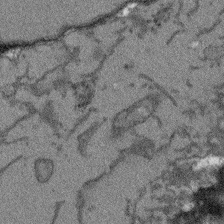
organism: Arabidopsis thaliana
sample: Root tip